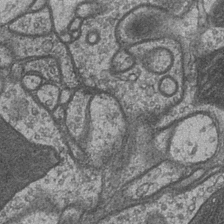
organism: Drosophila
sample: Optic medulla